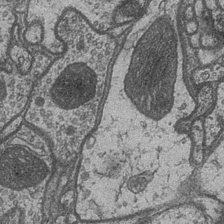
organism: Drosophila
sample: Optic medulla